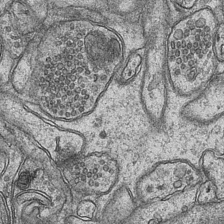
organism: Mouse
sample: CA1 Hippocampus